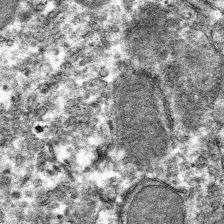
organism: Mouse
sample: Mouse hepatocytes